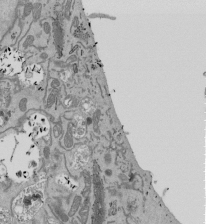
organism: Mouse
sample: ED-1 cell nuclei; centrioles